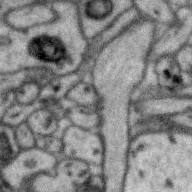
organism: Zebra finch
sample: Brain